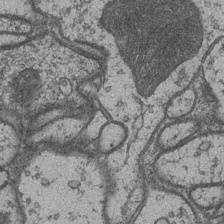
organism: Drosophila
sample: Optic medulla